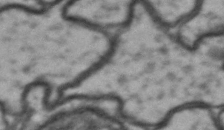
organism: Drosophila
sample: Brain